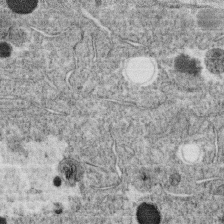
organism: C. elegans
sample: C. elegans oocyte; sperm cells